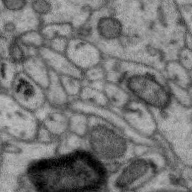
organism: Zebra finch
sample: Brain